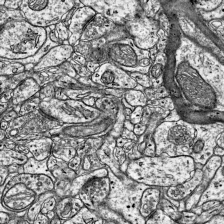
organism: Mouse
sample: Visual Cortex